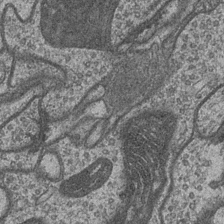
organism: Drosophila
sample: Optic medulla